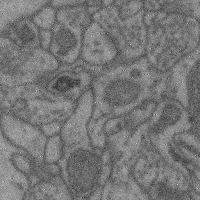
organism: Mouse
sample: Cerebral cortex